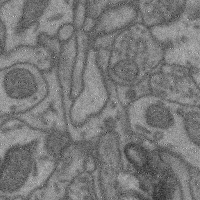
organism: Mouse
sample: Cerebral cortex